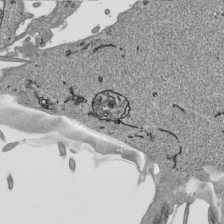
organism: Human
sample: Mitochondria in HCT116 cells